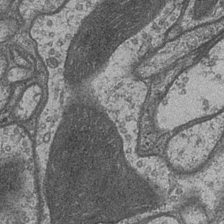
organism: Drosophila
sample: Optic medulla